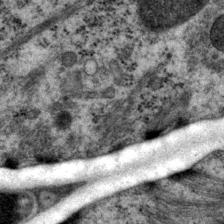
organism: P. pacificus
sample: Pharynx